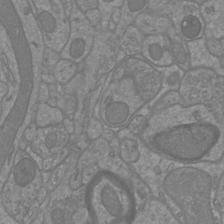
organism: Mouse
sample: Cortical neurons